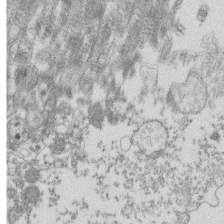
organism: Human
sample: HeLa cell HIV synapse